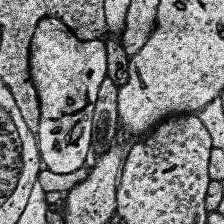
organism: Human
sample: Temporal Lobe